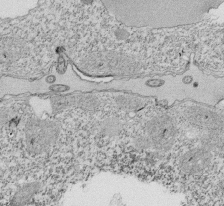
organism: Tetrahymena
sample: Cilia in tetrahymena